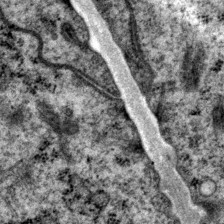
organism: P. pacificus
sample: Pharynx